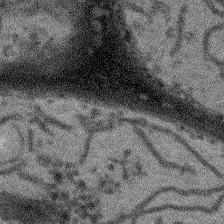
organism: Arabidopsis thaliana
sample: Root tip